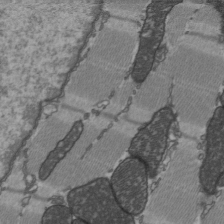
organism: C57BL Mouse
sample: Heart